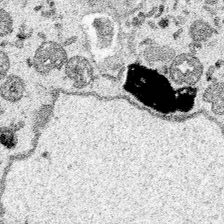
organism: Spongilla lacustris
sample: Multiple